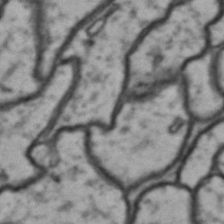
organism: Drosophila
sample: Brain